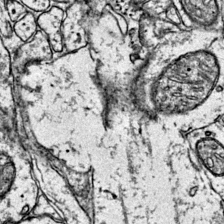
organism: Mouse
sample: Primary visual cortex